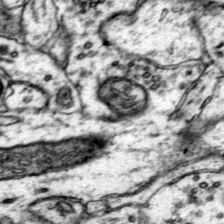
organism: Mouse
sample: Primary visual cortex